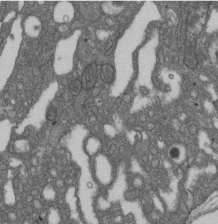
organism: Drosophila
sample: Nephrocyte